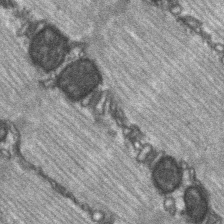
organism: C57BL Mouse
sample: Soleus